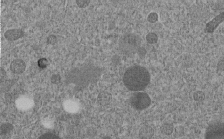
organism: C. elegans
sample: C. elegans embryo early stage